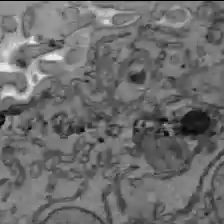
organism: C57BL Mouse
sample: Liver